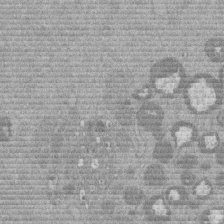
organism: Mouse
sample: Dividing mouse embryo 1 cell stage